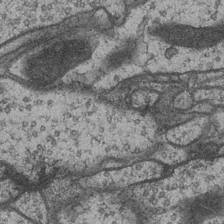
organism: Drosophila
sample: Optic medulla